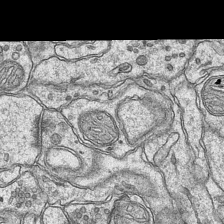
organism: Mouse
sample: CA1 Hippocampus